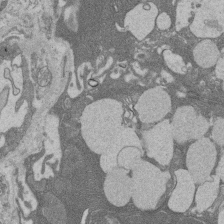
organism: Rat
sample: Salivary granule